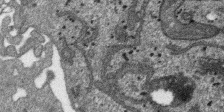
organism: Human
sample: Lung epithelial cells infected with SARS-CoV-2